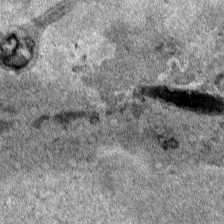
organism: Human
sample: Mitochondria in HCT116 cells